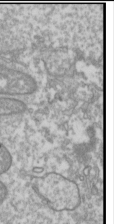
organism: Drosophila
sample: Cell division; meiosis; drosophila spermatocytes